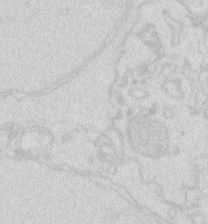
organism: Zebrafish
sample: Macrophage